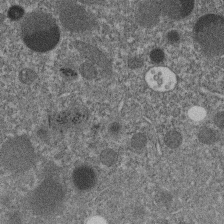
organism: C. elegans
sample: C. elegans embryo early stage